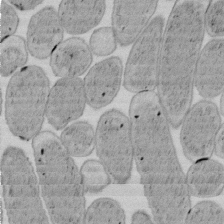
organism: E. coli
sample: Bacterial nucleoid